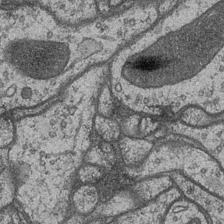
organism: Drosophila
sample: Optic medulla